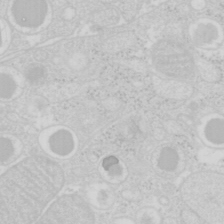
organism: Mouse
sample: Pancreas